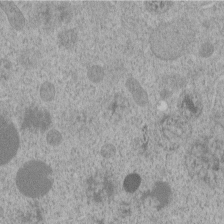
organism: C. elegans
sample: C. elegans embryo early stage